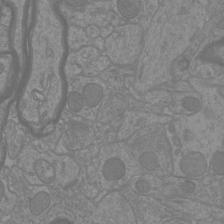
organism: Mouse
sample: Cortical neurons